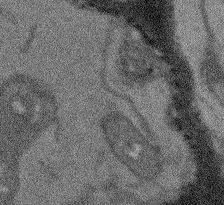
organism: Arabidopsis thaliana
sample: Root tip